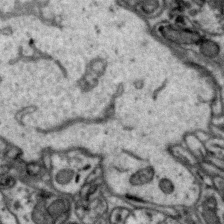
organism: Zebra finch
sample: Brain